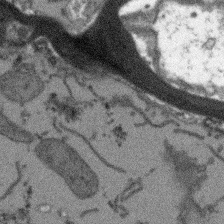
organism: Arabidopsis thaliana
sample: Root tip